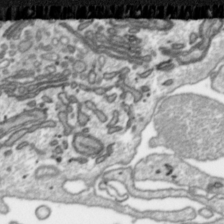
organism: Toxoplasma gondii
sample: Parasites in a vacuole inside a host cell